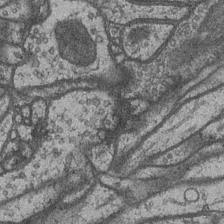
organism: Drosophila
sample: Optic medulla